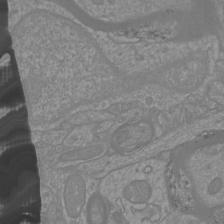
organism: Mouse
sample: Cortical neurons